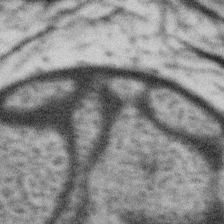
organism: Gemmata obscuriglobus